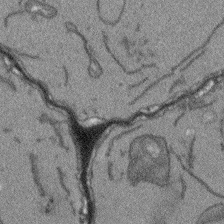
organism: Arabidopsis thaliana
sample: Root tip